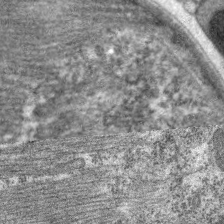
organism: C. elegans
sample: Pharynx